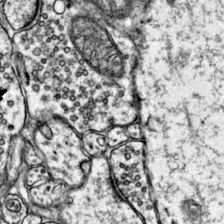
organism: Mouse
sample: Primary visual cortex